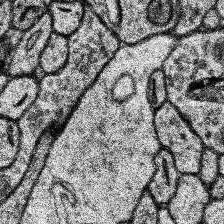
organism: Human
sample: Temporal Lobe